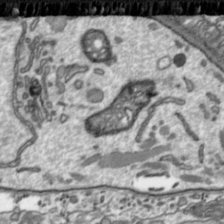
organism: Toxoplasma gondii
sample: Parasites in a vacuole inside a host cell